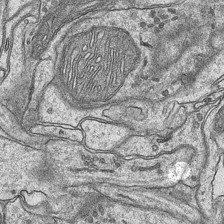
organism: Mouse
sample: CA1 Hippocampus